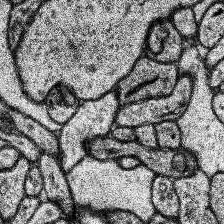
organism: Human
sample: Temporal Lobe